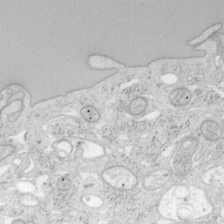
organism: Mouse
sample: OT-I killer T cells with ID8 ovarian cancer cells